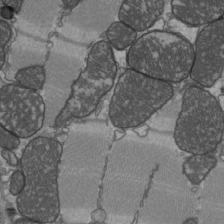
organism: C57BL Mouse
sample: Heart